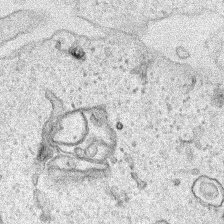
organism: Human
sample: Mitochondria in HCT116 cells